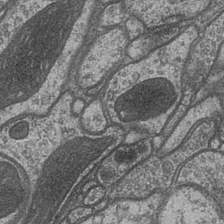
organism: Drosophila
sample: Optic medulla